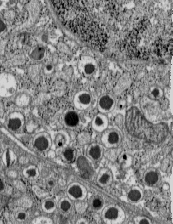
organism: C57BL Mouse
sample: Pancreatic islet